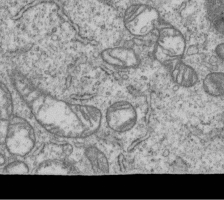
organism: Human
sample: MDA-MB-231 cells